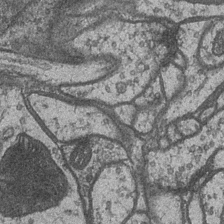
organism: Drosophila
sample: Optic medulla